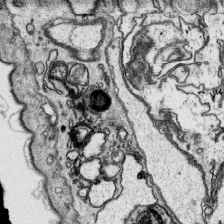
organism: Platynereis dumerilii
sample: Parapodia